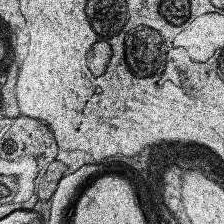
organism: Human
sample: Temporal Lobe